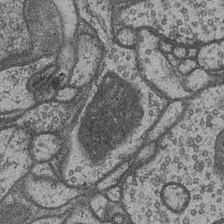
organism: Drosophila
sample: Optic medulla